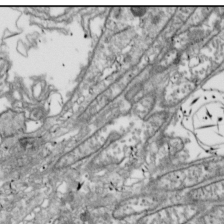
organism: Drosophila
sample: Cell division; meiosis; drosophila spermatocytes